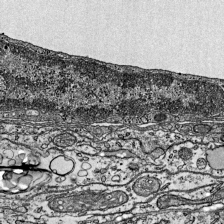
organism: Mouse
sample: Visual Cortex